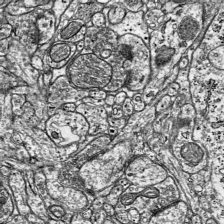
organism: Mouse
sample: Visual Cortex